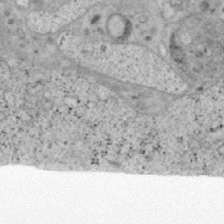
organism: Mouse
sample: OT-I killer T cells with ID8 ovarian cancer cells